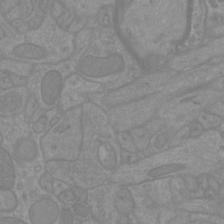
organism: Mouse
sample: Cortical neurons